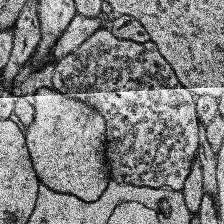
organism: Human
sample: Temporal Lobe